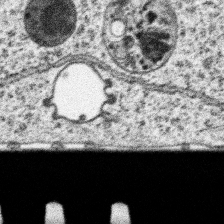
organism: Human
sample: HeLa cells